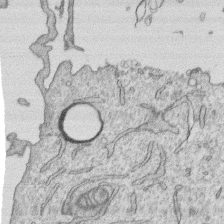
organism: Human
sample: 1205lu cells